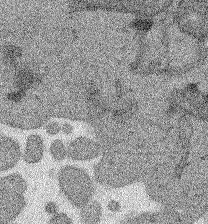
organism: Human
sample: HeLa cells